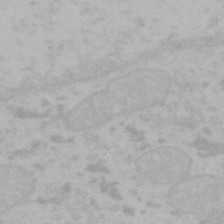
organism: Mouse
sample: Choroid plexus